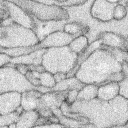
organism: Rabbit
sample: Retina